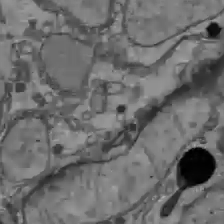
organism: C57BL Mouse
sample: Liver